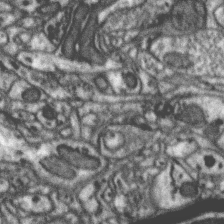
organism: Zebra finch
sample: Brain